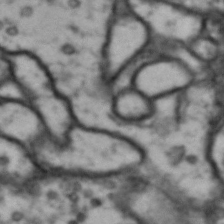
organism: Drosophila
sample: Brain